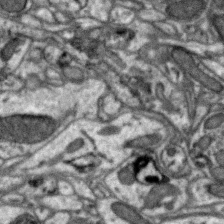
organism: Zebra finch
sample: Brain